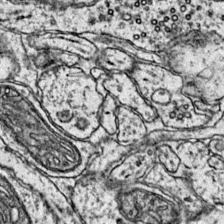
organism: Mouse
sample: Primary visual cortex